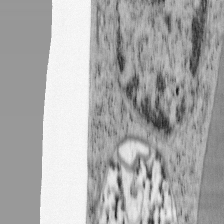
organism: Human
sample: HeLa cells